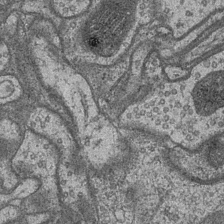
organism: Drosophila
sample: Optic medulla